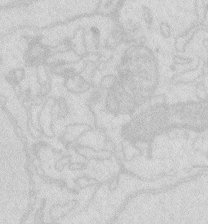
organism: Zebrafish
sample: Macrophage